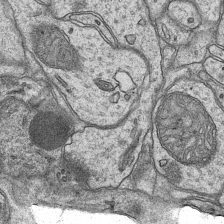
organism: Mouse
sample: CA1 Hippocampus